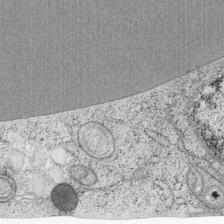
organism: African green monkey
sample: COS-7 cells